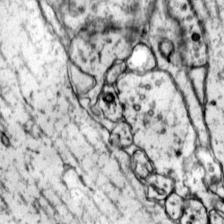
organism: Mouse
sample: Primary visual cortex